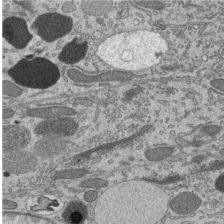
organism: Mouse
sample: Mouse epididymis efferent ductule cilia